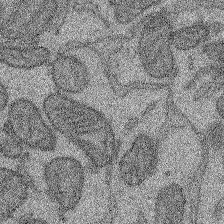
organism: Human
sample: HeLa cells